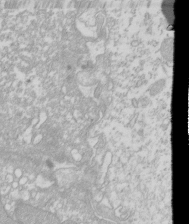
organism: Xenopus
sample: Cilia; centrioles in frog embryo cells